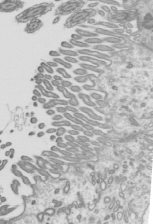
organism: Mouse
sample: Mouse epididymis efferent ductule cilia